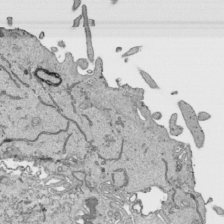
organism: Human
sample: Mitochondria in HCT116 cells